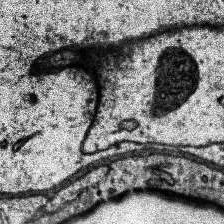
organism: Human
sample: Temporal Lobe